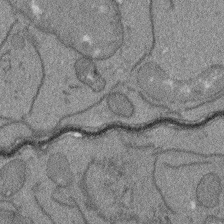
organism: Arabidopsis thaliana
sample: Root tip